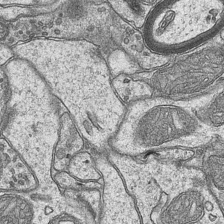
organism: Mouse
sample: CA1 Hippocampus